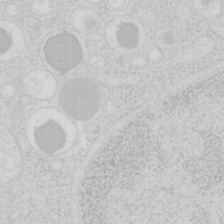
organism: Mouse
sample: Pancreas